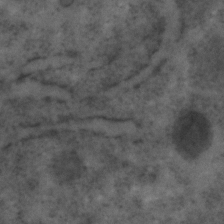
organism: C. elegans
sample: C. elegans embryo